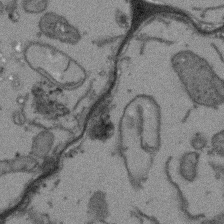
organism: Arabidopsis thaliana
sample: Root tip